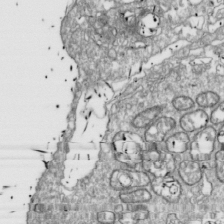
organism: Drosophila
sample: Cell division; meiosis; drosophila spermatocytes